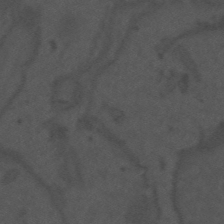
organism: Mouse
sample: Suprachiasmatic nucleus